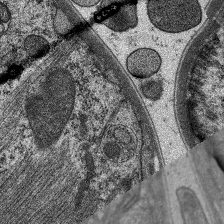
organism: C. elegans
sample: Pharynx